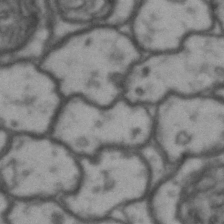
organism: Drosophila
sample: Brain